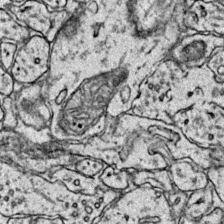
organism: Mouse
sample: Primary visual cortex